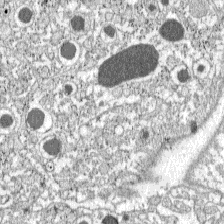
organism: C57BL Mouse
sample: Pancreatic islet